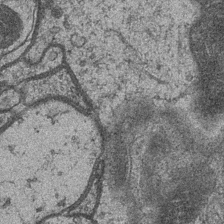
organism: Drosophila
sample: Optic medulla